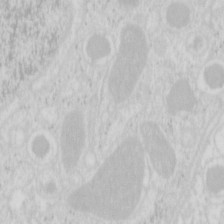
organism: Mouse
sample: Pancreas